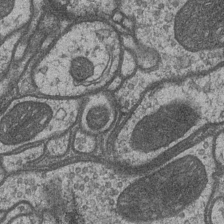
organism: Drosophila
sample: Optic medulla